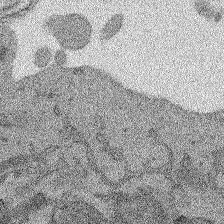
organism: Human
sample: HeLa cells